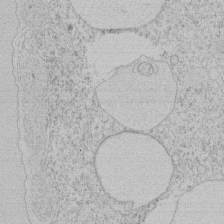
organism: Tetrahymena